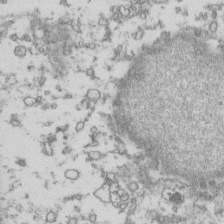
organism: Human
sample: Activated Jurkat CD4+ T cells